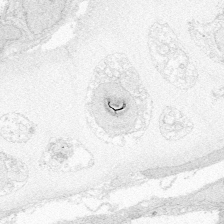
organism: Zebrafish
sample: Whole-Brain